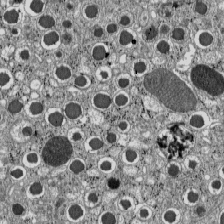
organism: C57BL Mouse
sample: Pancreatic islet